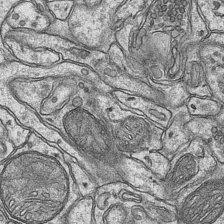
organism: Mouse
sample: CA1 Hippocampus